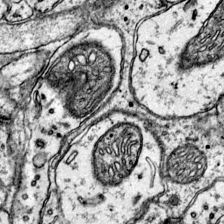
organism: Mouse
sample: Primary visual cortex